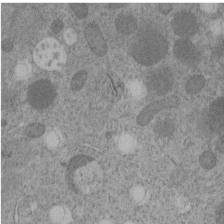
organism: C. elegans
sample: C. elegans embryo early stage